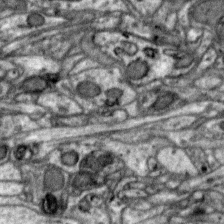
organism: Zebra finch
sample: Brain